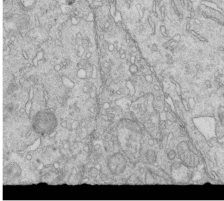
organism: Mouse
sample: Multiciliated cells